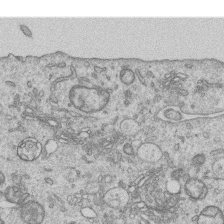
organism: Human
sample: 1205lu cells